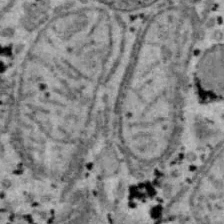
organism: Mouse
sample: Liver from an obese (ob/ob) mouse